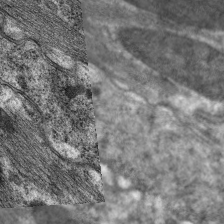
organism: C. elegans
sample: Pharynx